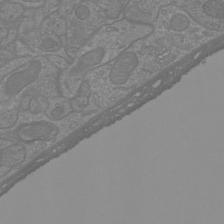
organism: Mouse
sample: Cortical neurons